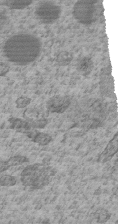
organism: C. elegans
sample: C. elegans embryo early stage